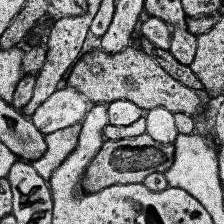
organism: Human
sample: Temporal Lobe